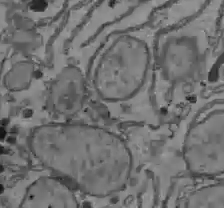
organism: C57BL Mouse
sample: Liver